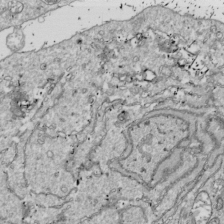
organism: Drosophila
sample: Cell division; meiosis; drosophila spermatocytes